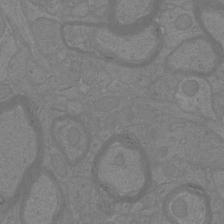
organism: Mouse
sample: Cortical neurons